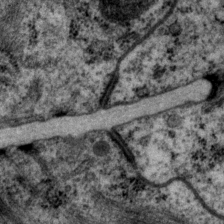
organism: P. pacificus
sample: Pharynx